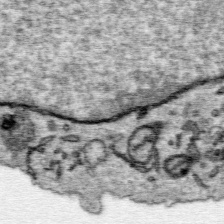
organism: Human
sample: HeLa cells